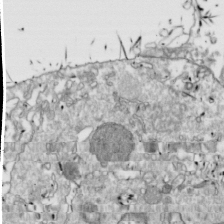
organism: Drosophila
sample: Cell division; meiosis; drosophila spermatocytes